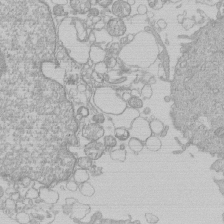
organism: Human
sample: Macrophage cells